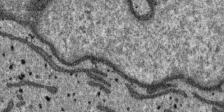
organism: Human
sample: Lung epithelial cells, uninfected (mock) control